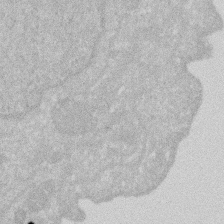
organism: Human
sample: HIV infected U937 cells